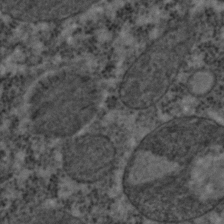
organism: C. elegans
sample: C. elegans embryo